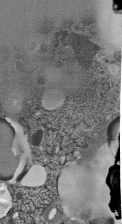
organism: C. elegans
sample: C. elegans pharynx